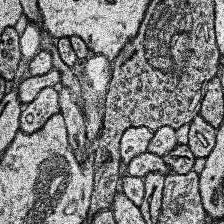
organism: Human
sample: Temporal Lobe